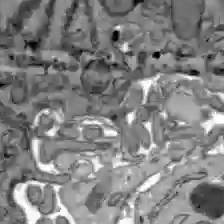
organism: C57BL Mouse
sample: Liver